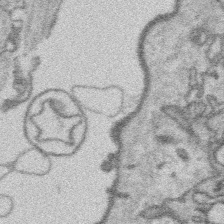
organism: Platynereis dumerilii